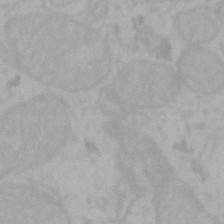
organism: Mouse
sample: Choroid plexus